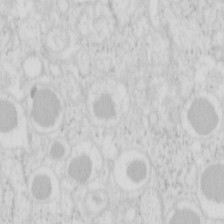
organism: Mouse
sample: Pancreas